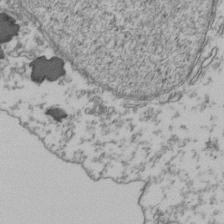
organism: Human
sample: Activated Jurkat CD4+ T cells